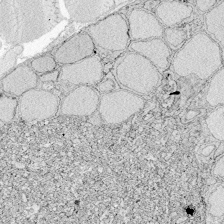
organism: Zebrafish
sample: Whole-Brain